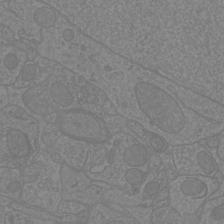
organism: Mouse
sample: Cortical neurons